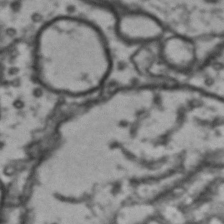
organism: Drosophila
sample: Brain